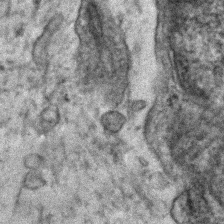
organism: Human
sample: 1205lu cells